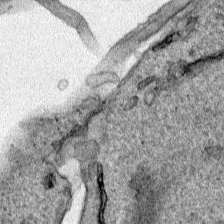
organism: Human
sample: Mitochondria in HCT116 cells